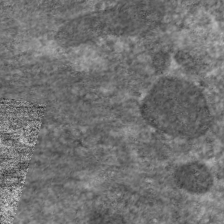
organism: C. elegans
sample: Pharynx